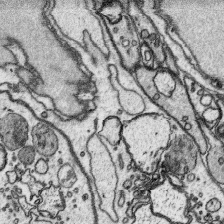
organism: Platynereis dumerilii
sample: Parapodia